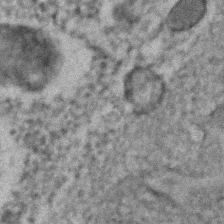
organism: C. elegans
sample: C. elegans embryo